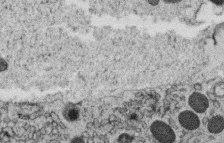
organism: C. elegans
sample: C. elegans oocyte; sperm cells